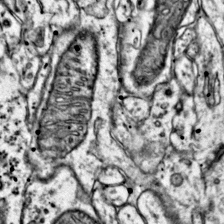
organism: Mouse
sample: Primary visual cortex